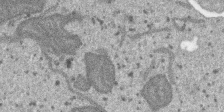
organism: Human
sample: Lung epithelial cells infected with SARS-CoV-2